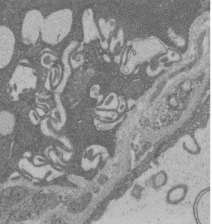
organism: Rat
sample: Salivary granule